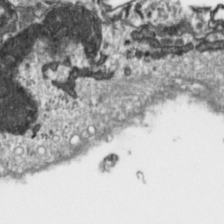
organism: Toxoplasma gondii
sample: Parasites in a vacuole inside a host cell